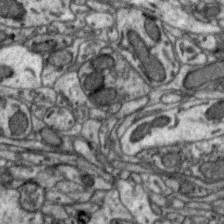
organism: Zebra finch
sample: Brain